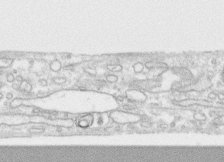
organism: Human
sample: CRL-1474